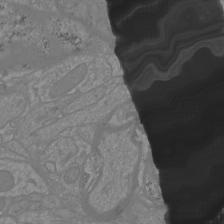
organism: Mouse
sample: Cortical neurons